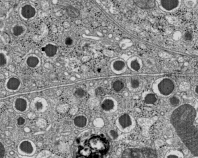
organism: C57BL Mouse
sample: Pancreatic islet